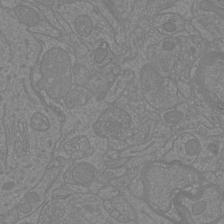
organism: Mouse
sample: Cortical neurons